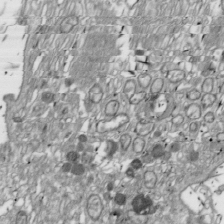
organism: Drosophila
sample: Cell division; meiosis; drosophila spermatocytes